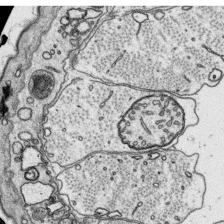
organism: Platynereis dumerilii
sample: Parapodia